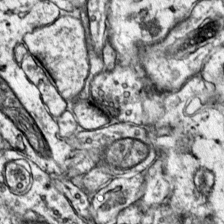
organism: Mouse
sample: Primary visual cortex